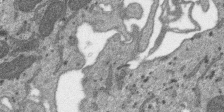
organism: Human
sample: Lung epithelial cells infected with SARS-CoV-2